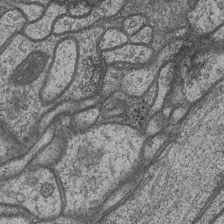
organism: Drosophila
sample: Optic medulla